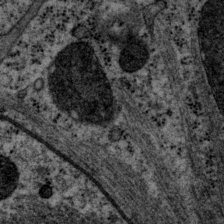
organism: P. pacificus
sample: Pharynx